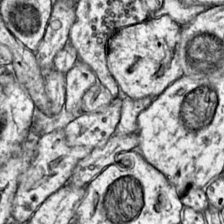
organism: Mouse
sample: Primary visual cortex